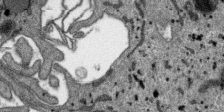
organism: Human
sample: Lung epithelial cells, uninfected (mock) control